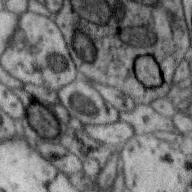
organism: Zebra finch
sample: Brain